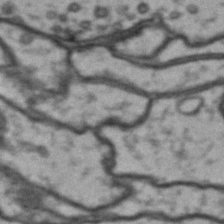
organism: Drosophila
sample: Brain